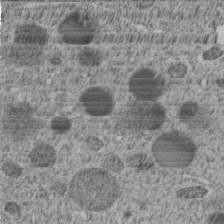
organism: C. elegans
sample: C. elegans embryo early stage